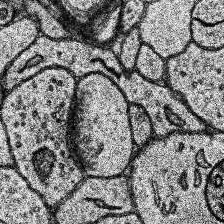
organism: Human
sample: Temporal Lobe